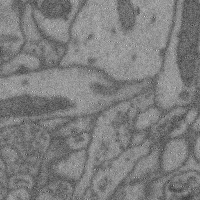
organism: Mouse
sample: Cerebral cortex